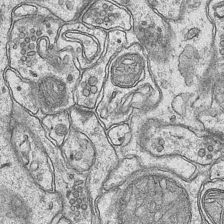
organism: Mouse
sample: CA1 Hippocampus